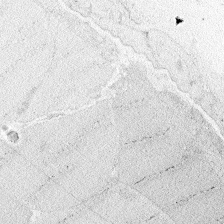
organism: Zebrafish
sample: Whole-Brain